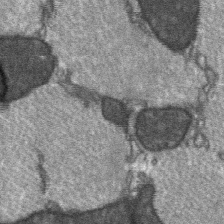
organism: C57BL Mouse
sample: Soleus